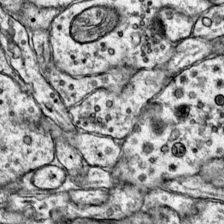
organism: Mouse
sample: Primary visual cortex